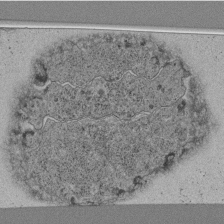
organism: C. elegans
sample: C. elegans pharynx